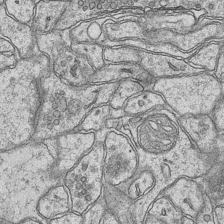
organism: Mouse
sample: CA1 Hippocampus